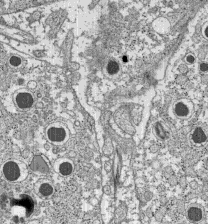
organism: C57BL Mouse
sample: Pancreatic islet